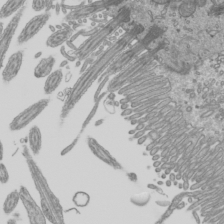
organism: Mouse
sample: Cilia; mouse epididymis